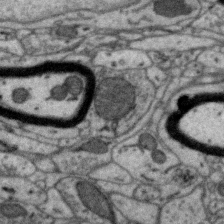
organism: Zebra finch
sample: Brain